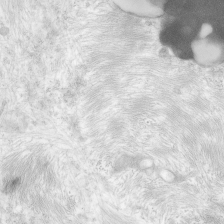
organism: Human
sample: Neocortex